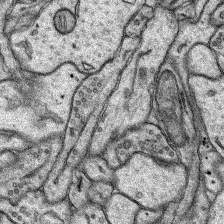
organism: Rat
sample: Hippocampus